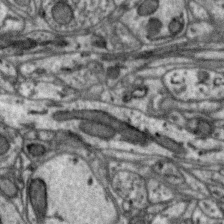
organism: Zebra finch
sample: Brain